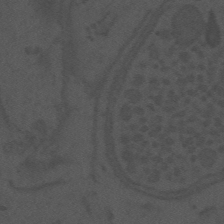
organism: Mouse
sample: Suprachiasmatic nucleus